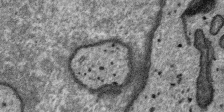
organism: Human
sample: Lung epithelial cells, uninfected (mock) control